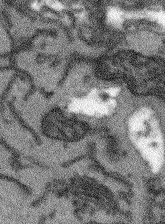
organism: Arabidopsis thaliana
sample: Root tip